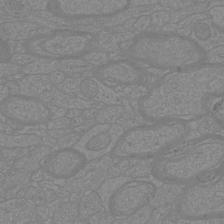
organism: Mouse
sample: Cortical neurons